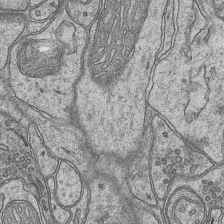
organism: Mouse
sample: CA1 Hippocampus